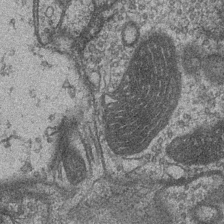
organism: Drosophila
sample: Optic medulla